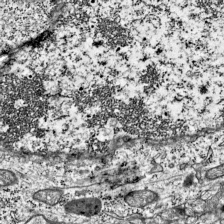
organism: Mouse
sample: Visual Cortex